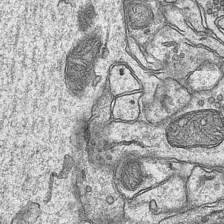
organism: Mouse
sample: CA1 Hippocampus